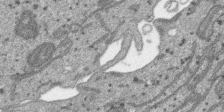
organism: Human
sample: Lung epithelial cells infected with SARS-CoV-2